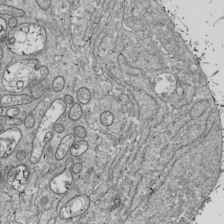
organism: Drosophila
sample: Cell division; meiosis; drosophila spermatocytes